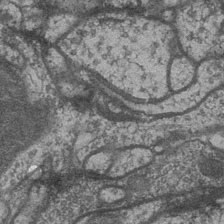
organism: Drosophila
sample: Optic medulla